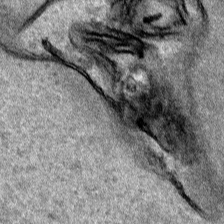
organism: Human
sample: Mitochondria in HCT116 cells